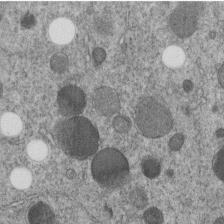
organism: C. elegans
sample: C. elegans embryo early stage